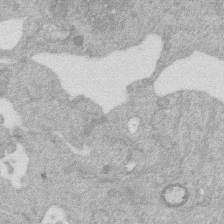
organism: Mouse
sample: Dividing mouse embryo 1 cell stage